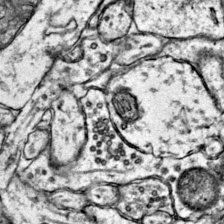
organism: Mouse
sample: Primary visual cortex